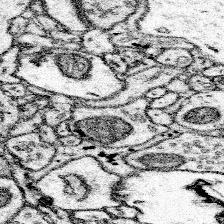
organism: Mouse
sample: Somatosensory cortex neuropil